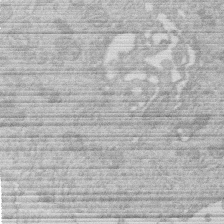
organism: Human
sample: Macrophage cells